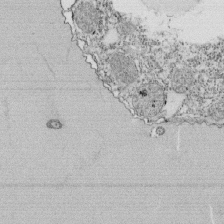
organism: Tetrahymena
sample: Cilia in tetrahymena